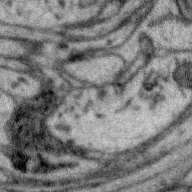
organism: Zebra finch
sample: Brain